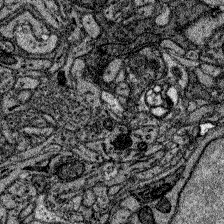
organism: Zebrafish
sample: Larval olfactory bulb